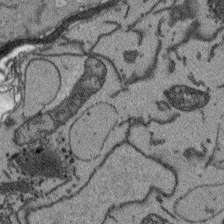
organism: Arabidopsis thaliana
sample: Root tip